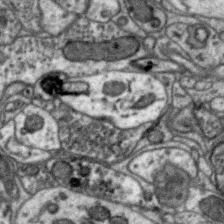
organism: Zebra finch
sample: Brain